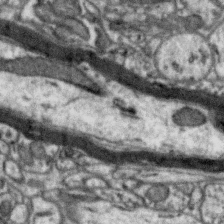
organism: Zebra finch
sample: Brain